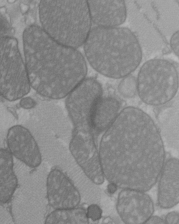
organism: C57BL Mouse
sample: Heart